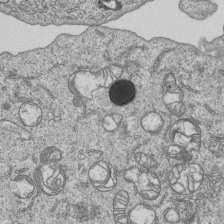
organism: Human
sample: MDA-MB-231 cells